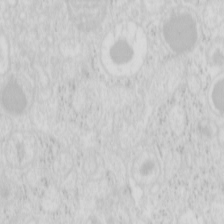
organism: Mouse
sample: Pancreas